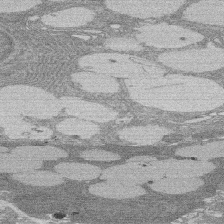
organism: Rat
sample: Salivary granule